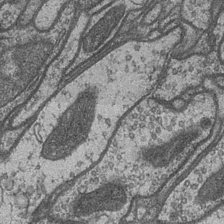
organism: Drosophila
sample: Optic medulla